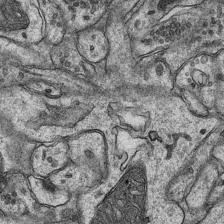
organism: Mouse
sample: CA1 Hippocampus